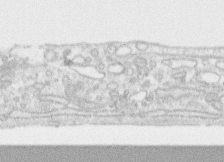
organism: Human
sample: CRL-1474